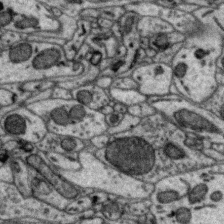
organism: Zebra finch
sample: Brain